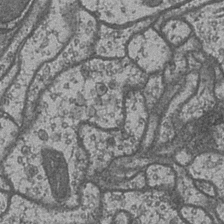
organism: Drosophila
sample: Optic medulla